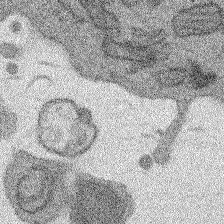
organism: Human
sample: HeLa cells